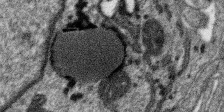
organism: Human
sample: Lung epithelial cells infected with SARS-CoV-2